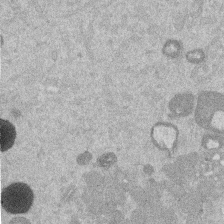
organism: Mouse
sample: Dividing mouse embryo 1 cell stage